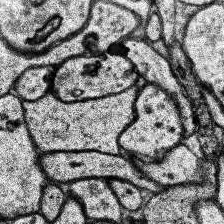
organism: Human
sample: Temporal Lobe